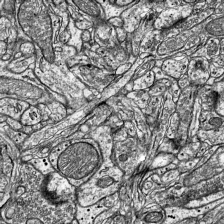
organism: Mouse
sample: Visual Cortex